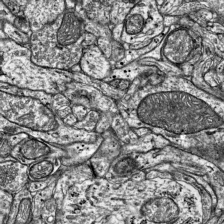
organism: Mouse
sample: Visual Cortex